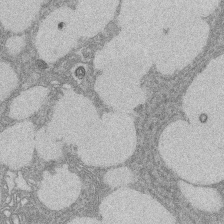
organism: Rat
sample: Salivary granule